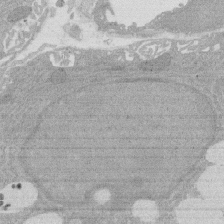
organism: Rat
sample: Salivary granule